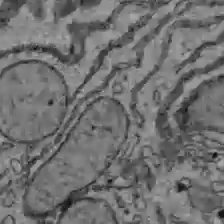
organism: C57BL Mouse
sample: Liver